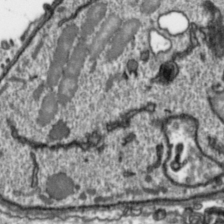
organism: Toxoplasma gondii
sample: Parasites in a vacuole inside a host cell